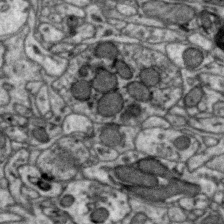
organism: Zebra finch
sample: Brain